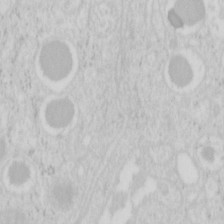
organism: Mouse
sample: Pancreas